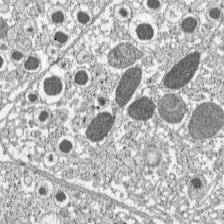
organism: C57BL Mouse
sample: Pancreatic islet